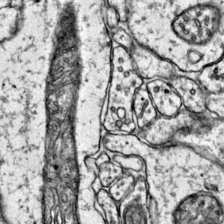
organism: Mouse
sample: Primary visual cortex